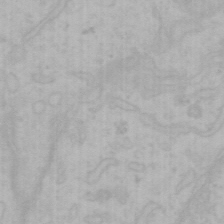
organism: Mouse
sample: Choroid plexus